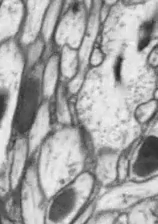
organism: Drosophila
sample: Optic lobe